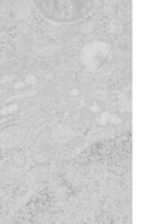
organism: Mouse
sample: Pancreas